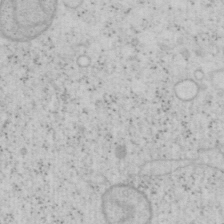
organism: Human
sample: HeLa cells